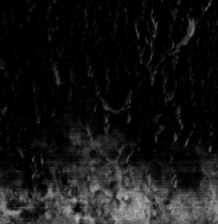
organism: Toxoplasma gondii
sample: Parasites in a vacuole inside a host cell